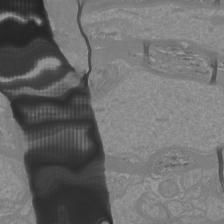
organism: Mouse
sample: Cortical neurons